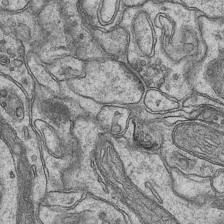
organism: Mouse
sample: CA1 Hippocampus